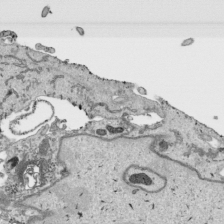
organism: Human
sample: Mitochondria in HCT116 cells